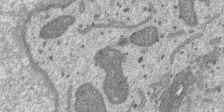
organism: Human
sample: Lung epithelial cells infected with SARS-CoV-2